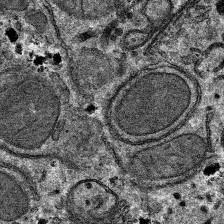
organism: Mouse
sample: Mouse hepatocytes